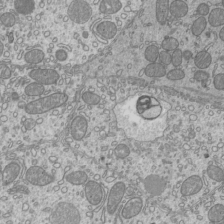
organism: Mouse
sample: Cilia; mouse epididymis